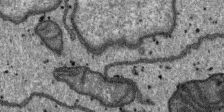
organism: Human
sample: Lung epithelial cells, uninfected (mock) control